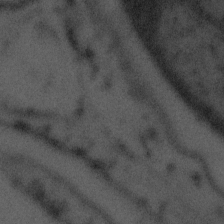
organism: Tuwongella immobilis